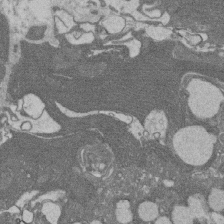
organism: Rat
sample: Salivary granule